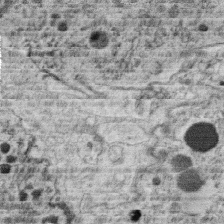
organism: C. elegans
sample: C. elegans oocyte; sperm cells